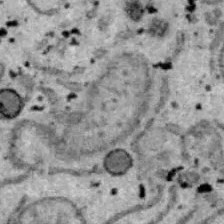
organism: Mouse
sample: Liver from an obese (ob/ob) mouse